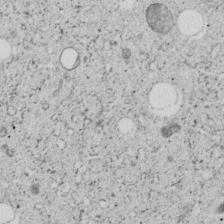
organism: C. elegans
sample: C. elegans embryo early stage